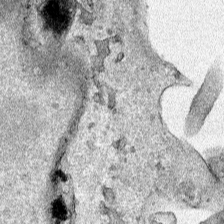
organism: Human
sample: Mitochondria in HCT116 cells